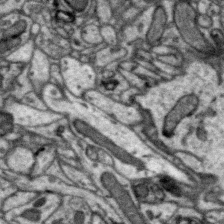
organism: Zebra finch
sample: Brain